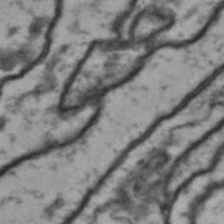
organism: Drosophila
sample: Brain